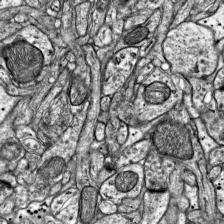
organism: Mouse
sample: Visual Cortex